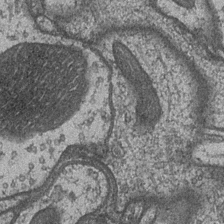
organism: Drosophila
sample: Optic medulla